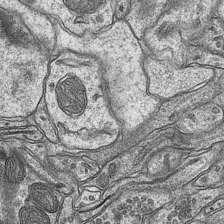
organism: Mouse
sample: CA1 Hippocampus